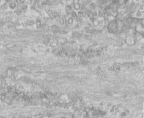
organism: Human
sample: Centriole in fibroblast cells